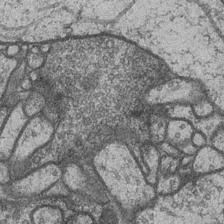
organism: Drosophila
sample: Optic medulla